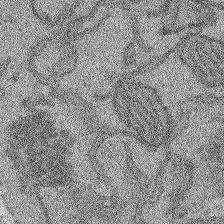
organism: Human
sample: HeLa cells